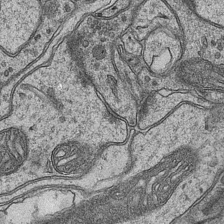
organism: Mouse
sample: CA1 Hippocampus